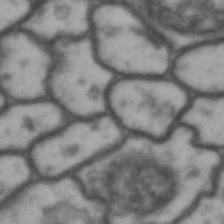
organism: Drosophila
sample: Brain